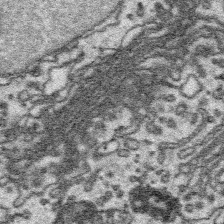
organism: Platynereis dumerilii